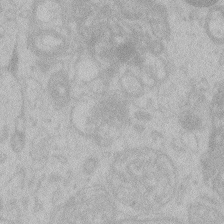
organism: Zebrafish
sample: Macrophage infected with Toxoplasma gondii